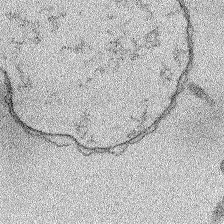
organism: Human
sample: HeLa cells